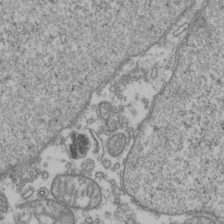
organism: Human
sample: Activated Jurkat CD4+ T cells